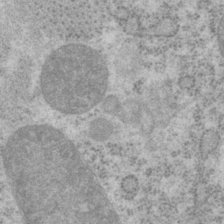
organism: P. pacificus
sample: Pharynx